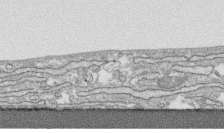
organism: Human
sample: CRL-1474